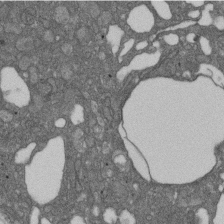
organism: Drosophila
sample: Nephrocyte